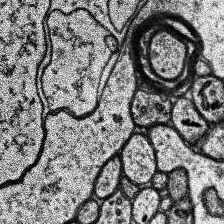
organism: Human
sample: Temporal Lobe